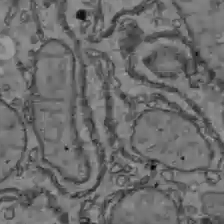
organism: C57BL Mouse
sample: Liver